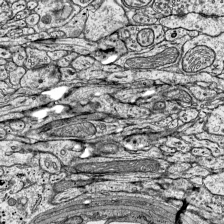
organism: Mouse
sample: Visual Cortex